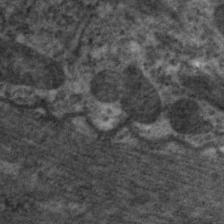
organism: C. elegans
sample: Pharynx